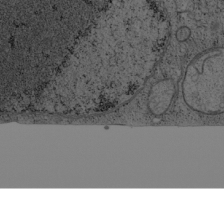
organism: African green monkey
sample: COS-7 cells